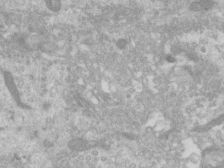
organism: Human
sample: Centriole in RPE cells